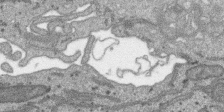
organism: Human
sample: Lung epithelial cells infected with SARS-CoV-2